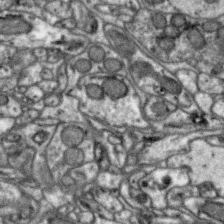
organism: Zebra finch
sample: Brain